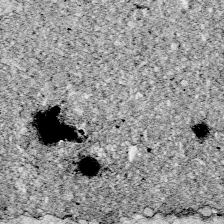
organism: Zebrafish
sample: Whole-Brain